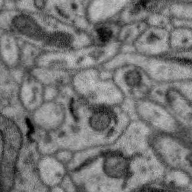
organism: Zebra finch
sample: Brain